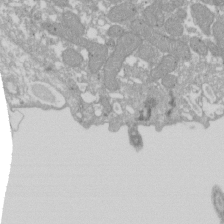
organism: Xenopus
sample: Cilia; centrioles in frog embryo cells